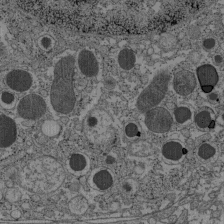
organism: C57BL Mouse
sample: Pancreatic islet